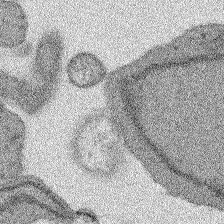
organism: Human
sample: HeLa cells